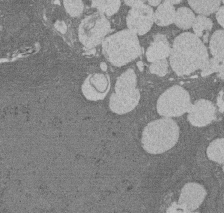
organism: Rat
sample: Salivary granule